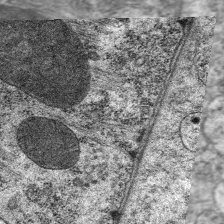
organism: C. elegans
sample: Pharynx